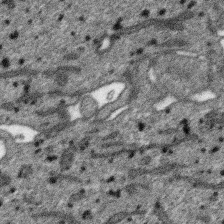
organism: Human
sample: Lung epithelial cells infected with SARS-CoV-2